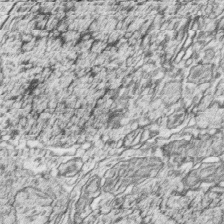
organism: Zebrafish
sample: synaptic ribbons in rod cells and cone cells